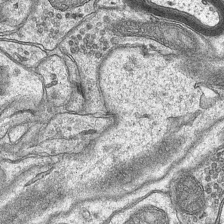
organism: Mouse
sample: CA1 Hippocampus